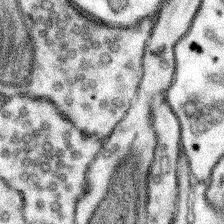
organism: Mouse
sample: Somatosensory cortex neuropil